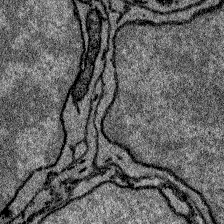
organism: Zebrafish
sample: Larval olfactory bulb